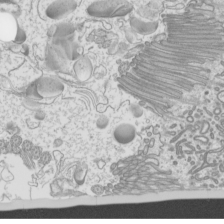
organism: Mouse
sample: Cilia; mouse epididymis